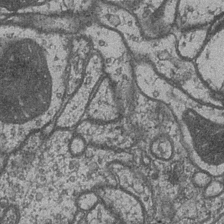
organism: Drosophila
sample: Optic medulla